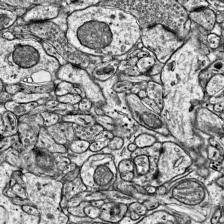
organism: Mouse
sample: Visual Cortex